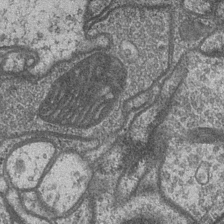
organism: Drosophila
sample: Optic medulla